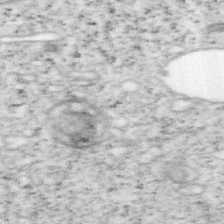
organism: Mouse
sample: OT-I killer T cells with ID8 ovarian cancer cells